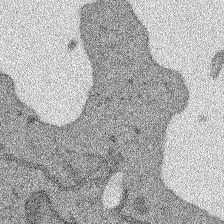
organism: Human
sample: HeLa cells